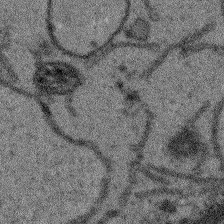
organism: Arabidopsis thaliana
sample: Root tip